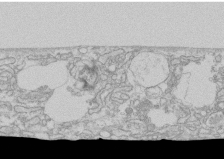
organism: Human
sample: CRL-1474